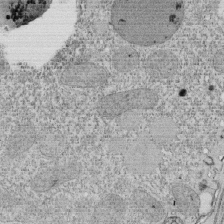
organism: Tetrahymena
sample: Cilia in tetrahymena